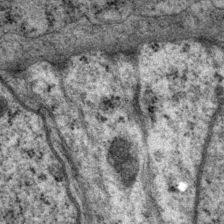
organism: P. pacificus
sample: Pharynx